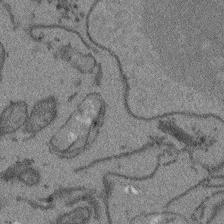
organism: Arabidopsis thaliana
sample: Root tip